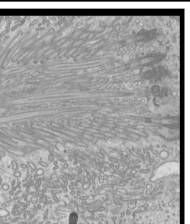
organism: Mouse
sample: Cilia; mouse epididymis